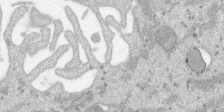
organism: Human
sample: Lung epithelial cells infected with SARS-CoV-2